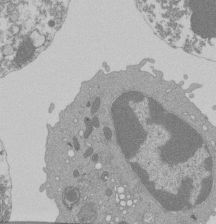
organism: Mouse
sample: Activated Pmel transgenic CD8+ T Cells